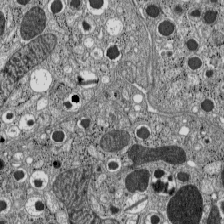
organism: C57BL Mouse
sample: Pancreatic islet